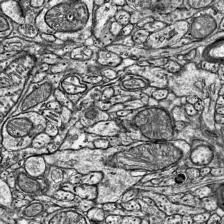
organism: Mouse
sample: Visual Cortex